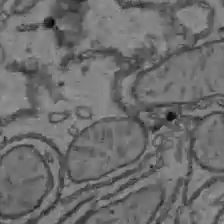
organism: C57BL Mouse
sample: Liver